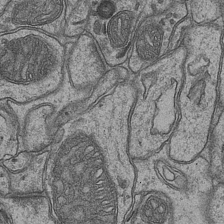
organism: Mouse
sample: CA1 Hippocampus